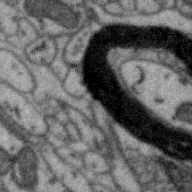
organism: Zebra finch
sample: Brain